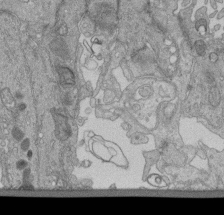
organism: Human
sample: Retinal organoid Rod and Cone cells